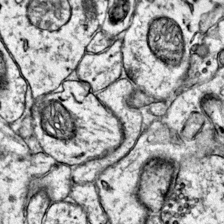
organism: Mouse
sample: Primary visual cortex